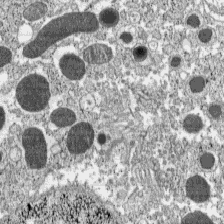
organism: C57BL Mouse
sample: Pancreatic islet